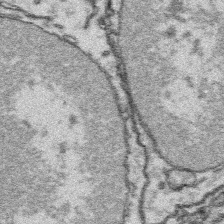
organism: Platynereis dumerilii